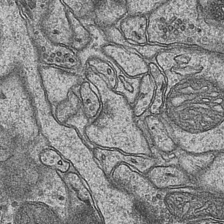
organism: Mouse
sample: CA1 Hippocampus